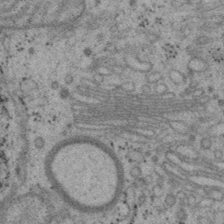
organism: Human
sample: HeLa cells